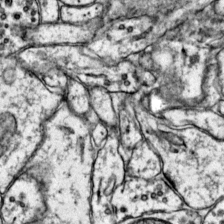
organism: Mouse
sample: Primary visual cortex